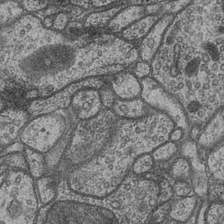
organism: Drosophila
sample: Optic medulla